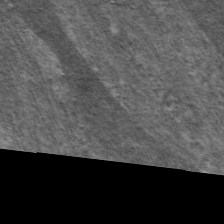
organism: C. elegans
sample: Pharynx